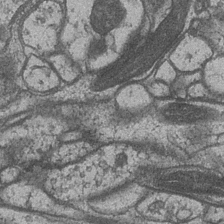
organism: Drosophila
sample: Optic medulla